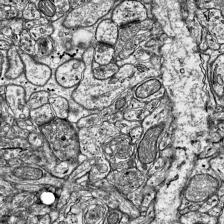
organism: Mouse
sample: Visual Cortex